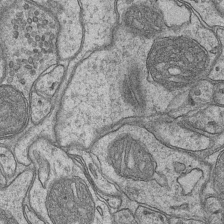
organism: Mouse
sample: CA1 Hippocampus